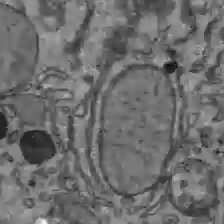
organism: C57BL Mouse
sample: Liver